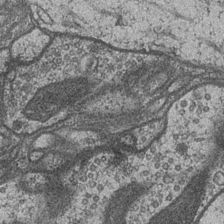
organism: Drosophila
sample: Optic medulla